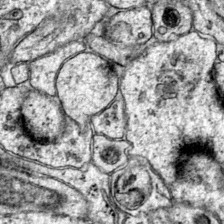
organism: Mouse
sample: Primary visual cortex